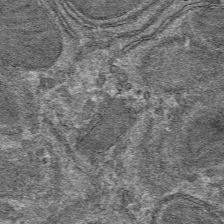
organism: Mouse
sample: Mouse hepatocytes